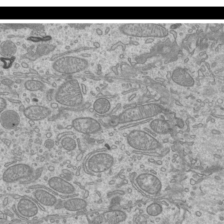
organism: Mouse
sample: Cilia; mouse epididymis